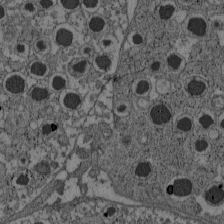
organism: C57BL Mouse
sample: Pancreatic islet